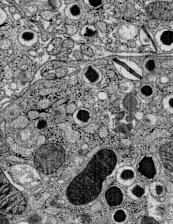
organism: C57BL Mouse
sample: Pancreatic islet